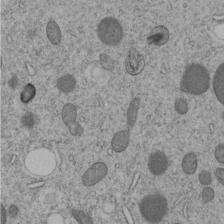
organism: C. elegans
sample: C. elegans embryo early stage